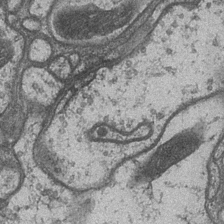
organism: Drosophila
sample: Optic medulla